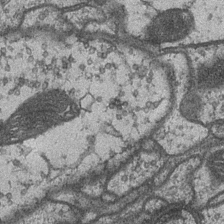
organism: Drosophila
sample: Optic medulla